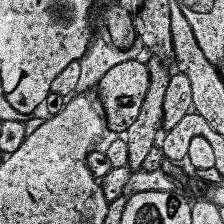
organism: Human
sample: Temporal Lobe